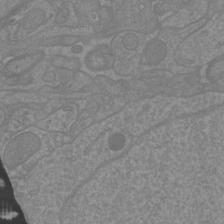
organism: Mouse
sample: Cortical neurons